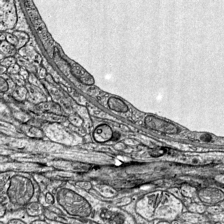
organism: Mouse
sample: Visual Cortex